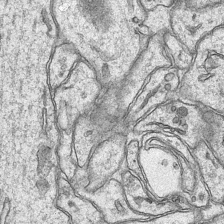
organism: Mouse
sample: CA1 Hippocampus